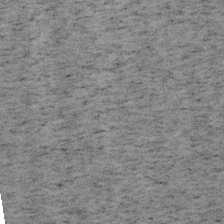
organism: Mouse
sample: OT-I killer T cells with ID8 ovarian cancer cells